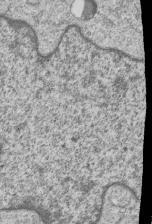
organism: Human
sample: MDA-MB-231 cells